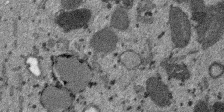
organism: Human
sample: Lung epithelial cells infected with SARS-CoV-2